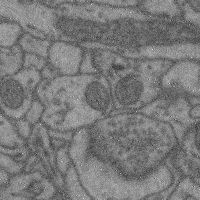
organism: Mouse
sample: Cerebral cortex